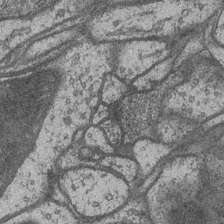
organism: Drosophila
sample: Optic medulla